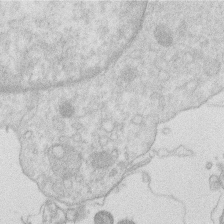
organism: Human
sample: Macrophage cells